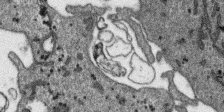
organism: Human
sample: Lung epithelial cells infected with SARS-CoV-2